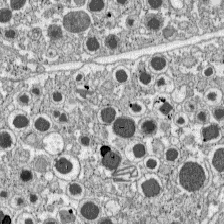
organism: C57BL Mouse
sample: Pancreatic islet